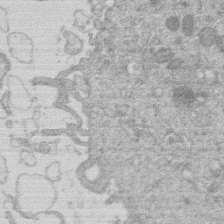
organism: Human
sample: Macrophage cells